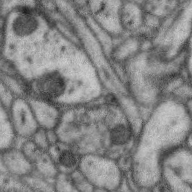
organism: Zebra finch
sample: Brain